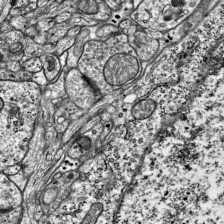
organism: Mouse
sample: Visual Cortex